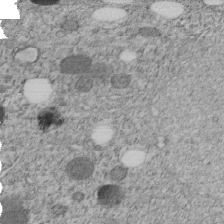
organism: C. elegans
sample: C. elegans embryo early stage